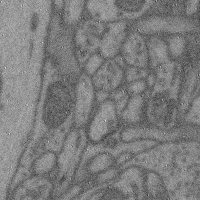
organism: Mouse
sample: Cerebral cortex